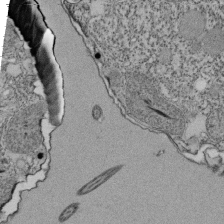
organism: Tetrahymena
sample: Cilia in tetrahymena